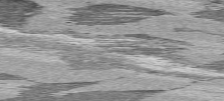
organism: C57BL Mouse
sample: Heart